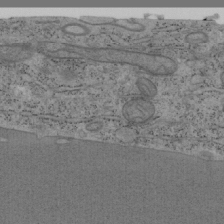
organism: Human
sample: HeLa cells